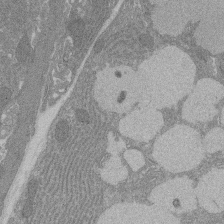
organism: Rat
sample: Salivary granule